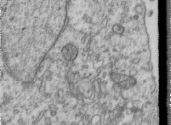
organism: Human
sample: Centriole in RPE cells